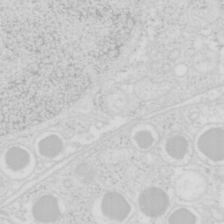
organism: Mouse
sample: Pancreas